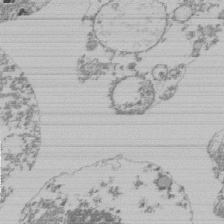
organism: Mouse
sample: Activated Pmel transgenic CD8+ T Cells